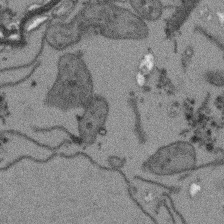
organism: Arabidopsis thaliana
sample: Root tip